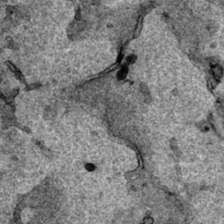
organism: Human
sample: Mitochondria in HCT116 cells